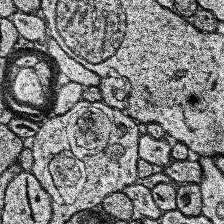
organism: Human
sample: Temporal Lobe